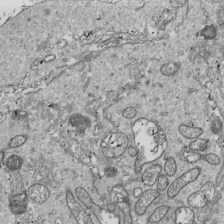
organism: Drosophila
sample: Cell division; meiosis; drosophila spermatocytes